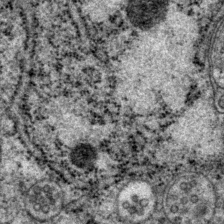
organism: P. pacificus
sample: Pharynx